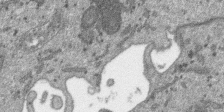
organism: Human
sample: Lung epithelial cells infected with SARS-CoV-2